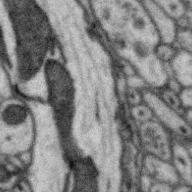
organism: Zebra finch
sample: Brain